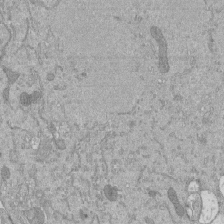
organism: Mouse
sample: ED-1 cell nuclei; centrioles